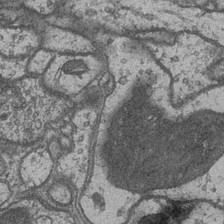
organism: Drosophila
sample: Optic medulla